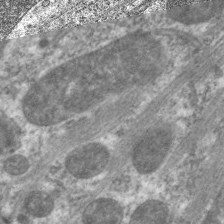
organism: C. elegans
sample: Pharynx